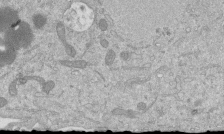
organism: Mouse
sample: ED-1 cell nuclei; centrioles